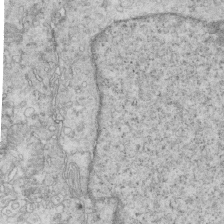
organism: Mouse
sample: Multiciliated cells